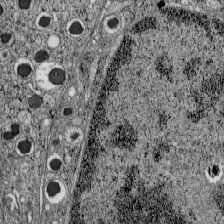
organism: C57BL Mouse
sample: Pancreatic islet